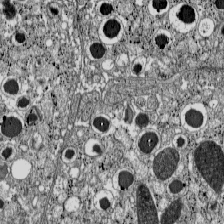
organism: C57BL Mouse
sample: Pancreatic islet